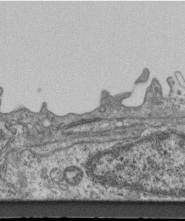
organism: Mouse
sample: Centriole in ependymal cells